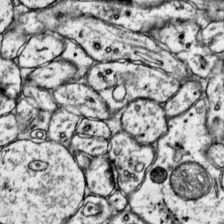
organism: Mouse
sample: Primary visual cortex